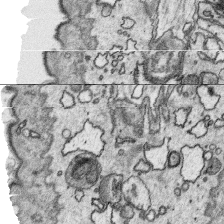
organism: Platynereis dumerilii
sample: Parapodia